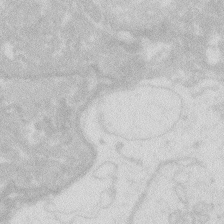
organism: Zebrafish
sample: Macrophage